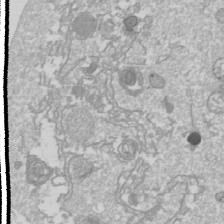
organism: Drosophila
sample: Cell division; meiosis; drosophila spermatocytes